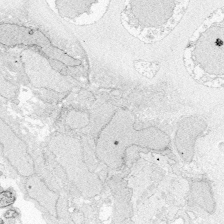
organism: Zebrafish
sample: Whole-Brain